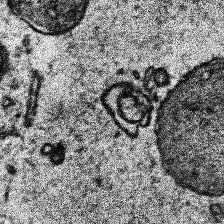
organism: Human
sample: Temporal Lobe